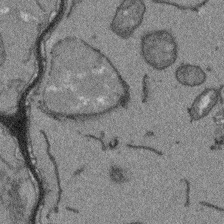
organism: Arabidopsis thaliana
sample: Root tip